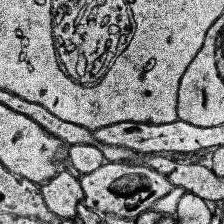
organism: Human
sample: Temporal Lobe